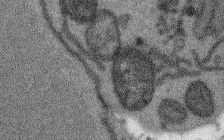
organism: Arabidopsis thaliana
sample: Root tip